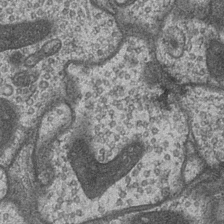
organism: Drosophila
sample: Optic medulla